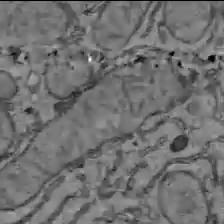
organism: C57BL Mouse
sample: Liver